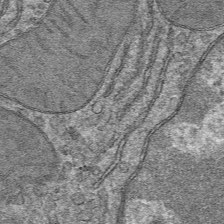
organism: Mouse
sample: Mouse hepatocytes